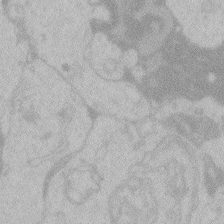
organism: Zebrafish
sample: Macrophage infected with Toxoplasma gondii